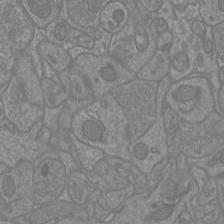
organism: Mouse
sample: Cortical neurons